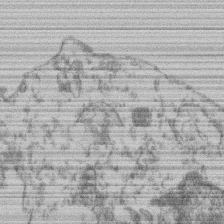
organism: Mouse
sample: T cell stromal cell synapse